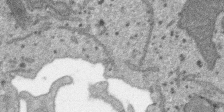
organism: Human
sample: Lung epithelial cells infected with SARS-CoV-2